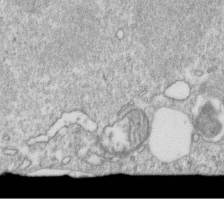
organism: Mouse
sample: Activated OT-1 CD8+ T cells